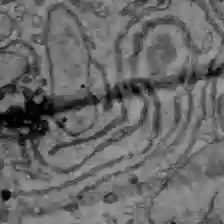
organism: C57BL Mouse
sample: Liver